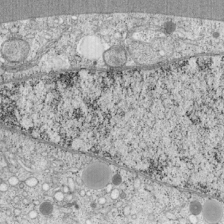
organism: African green monkey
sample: COS-7 cells